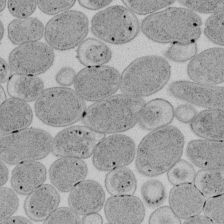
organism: E. coli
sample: Bacterial nucleoid